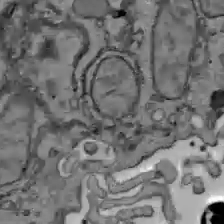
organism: C57BL Mouse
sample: Liver